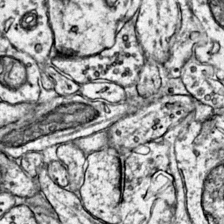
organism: Mouse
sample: Primary visual cortex